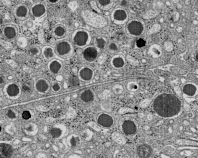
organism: C57BL Mouse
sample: Pancreatic islet